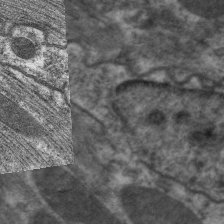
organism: C. elegans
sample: Pharynx